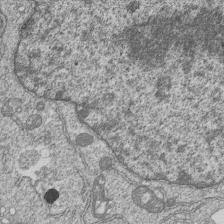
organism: Human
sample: MDA-MB-231 cells